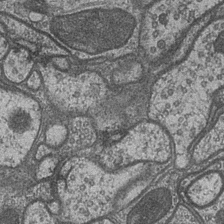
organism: Drosophila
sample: Optic medulla